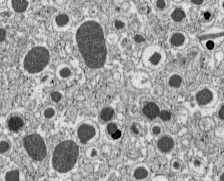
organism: C57BL Mouse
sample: Pancreatic islet